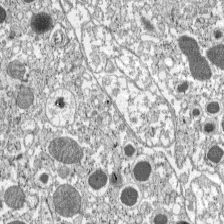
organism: C57BL Mouse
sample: Pancreatic islet